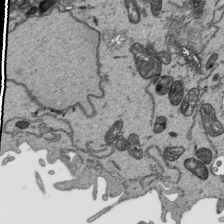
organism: Human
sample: Mitochondria in HCT116 cells